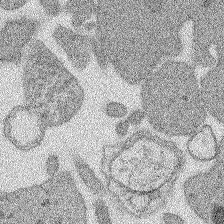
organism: Human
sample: HeLa cells